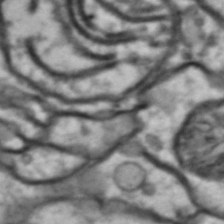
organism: Drosophila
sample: Brain